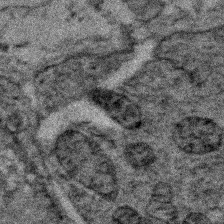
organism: Zebrafish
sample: Zebrafish embryo